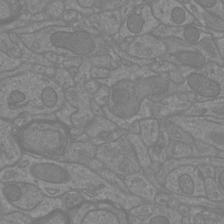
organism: Mouse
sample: Cortical neurons